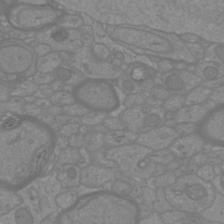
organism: Mouse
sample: Cortical neurons